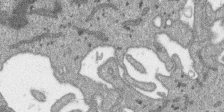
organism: Human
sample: Lung epithelial cells infected with SARS-CoV-2